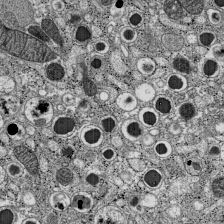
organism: C57BL Mouse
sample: Pancreatic islet